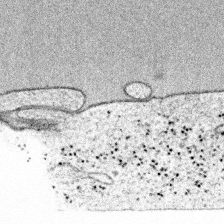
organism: Human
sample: HeLa cells